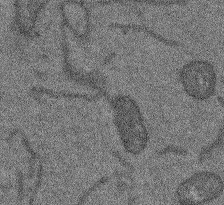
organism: Arabidopsis thaliana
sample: Root tip